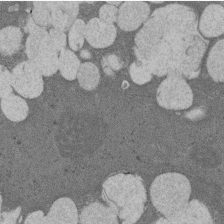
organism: Rat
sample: Salivary granule